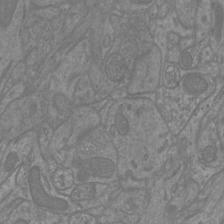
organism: Mouse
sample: Cortical neurons